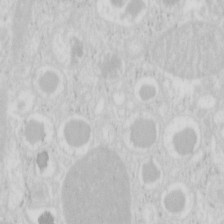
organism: Mouse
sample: Pancreas